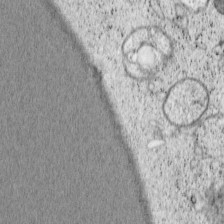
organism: African green monkey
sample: COS-7 cells